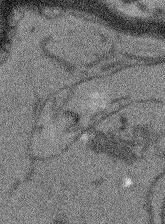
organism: Arabidopsis thaliana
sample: Root tip